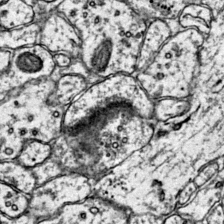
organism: Mouse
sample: Primary visual cortex